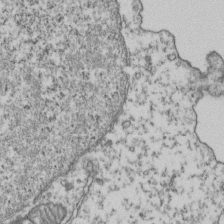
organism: Human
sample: Activated Jurkat CD4+ T cells